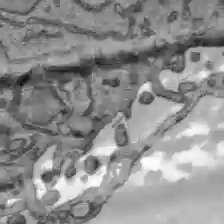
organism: C57BL Mouse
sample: Liver